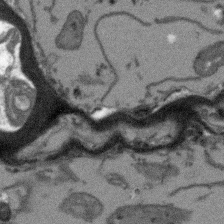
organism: Arabidopsis thaliana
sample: Root tip